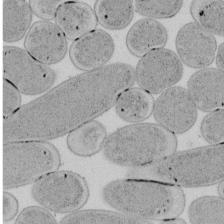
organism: E. coli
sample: Bacterial nucleoid